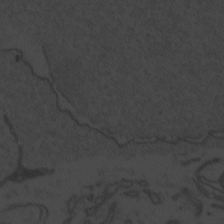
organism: Zebrafish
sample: Macrophage infected with Toxoplasma gondii